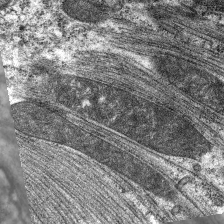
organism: C. elegans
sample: Pharynx